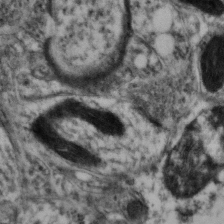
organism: Mouse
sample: Neocortex